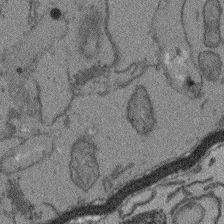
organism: Arabidopsis thaliana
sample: Root tip